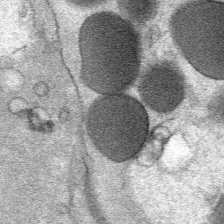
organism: Mouse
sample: Mouse Salivary gland